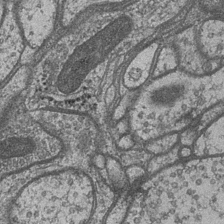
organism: Drosophila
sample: Optic medulla